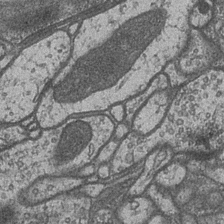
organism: Drosophila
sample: Optic medulla